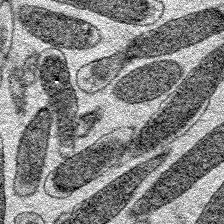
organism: E. coli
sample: E. Coli Bacteria